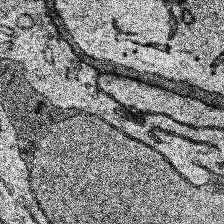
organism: Human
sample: Temporal Lobe